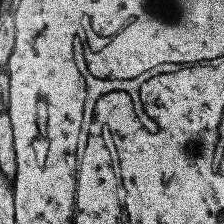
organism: Human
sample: Temporal Lobe